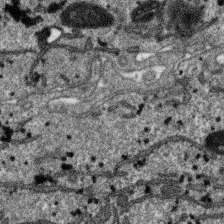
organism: Human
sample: Lung epithelial cells infected with SARS-CoV-2